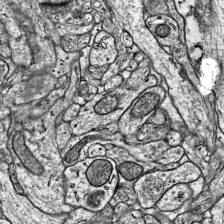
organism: Mouse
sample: Visual Cortex